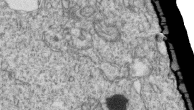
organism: Human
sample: HeLa cell HIV synapse